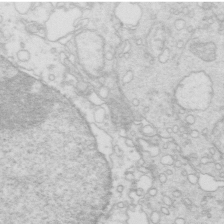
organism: Mouse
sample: Multiciliated cells